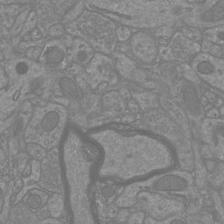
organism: Mouse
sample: Cortical neurons